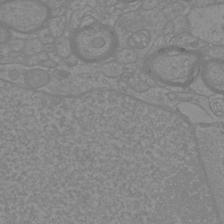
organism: Mouse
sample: Cortical neurons